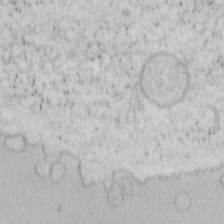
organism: Human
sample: HeLa cells